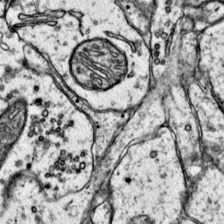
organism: Mouse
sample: Primary visual cortex